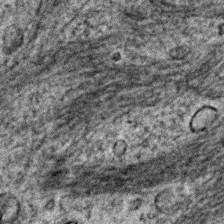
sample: Trachea